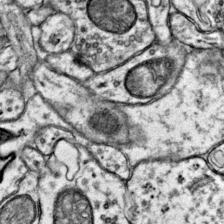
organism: Mouse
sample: Primary visual cortex